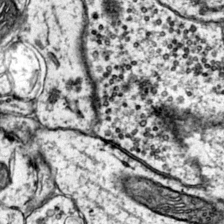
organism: Mouse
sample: Primary visual cortex